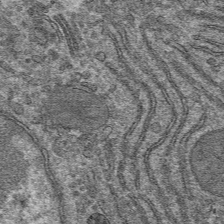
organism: Mouse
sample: Mouse hepatocytes